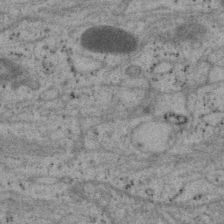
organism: Human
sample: HeLa cells